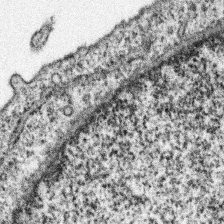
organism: Human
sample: HeLa cells